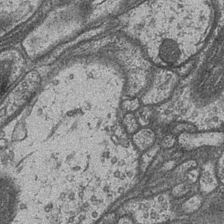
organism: Drosophila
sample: Optic medulla